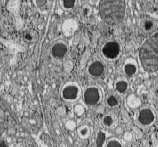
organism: C57BL Mouse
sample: Pancreatic islet